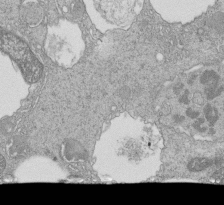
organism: Tetrahymena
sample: Cilia in tetrahymena